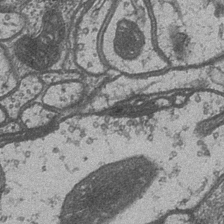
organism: Drosophila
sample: Optic medulla